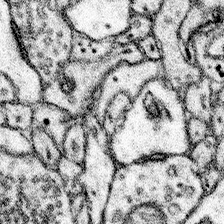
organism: Mouse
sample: Somatosensory cortex neuropil